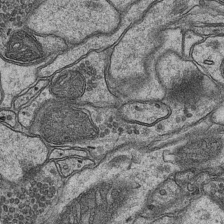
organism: Mouse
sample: CA1 Hippocampus